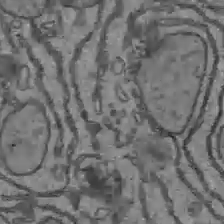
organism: C57BL Mouse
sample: Liver